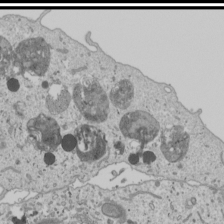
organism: Human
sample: Mitochondria in U2OS cells